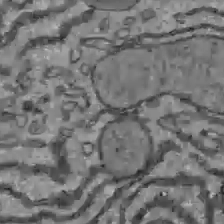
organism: C57BL Mouse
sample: Liver